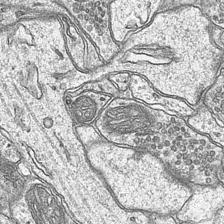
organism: Mouse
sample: CA1 Hippocampus